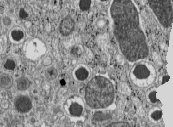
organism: C57BL Mouse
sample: Pancreatic islet